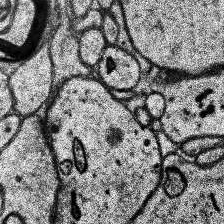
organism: Human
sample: Temporal Lobe